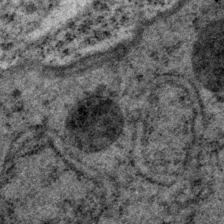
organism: P. pacificus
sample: Pharynx